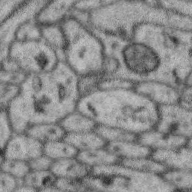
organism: Zebra finch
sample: Brain